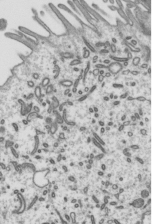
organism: Mouse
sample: Mouse epididymis efferent ductule cilia